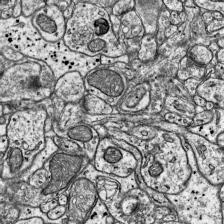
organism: Mouse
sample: Visual Cortex